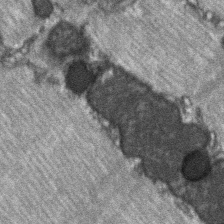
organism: C57BL Mouse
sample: Soleus